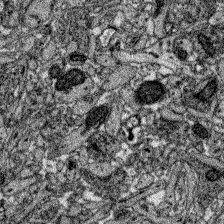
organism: Zebrafish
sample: Larval olfactory bulb